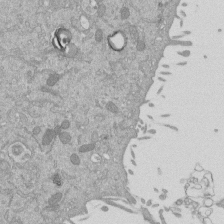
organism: Mouse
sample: ED-1 cell nuclei; centrioles